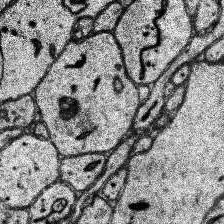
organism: Human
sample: Temporal Lobe